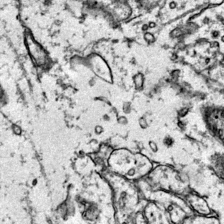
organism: Mouse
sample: Primary visual cortex